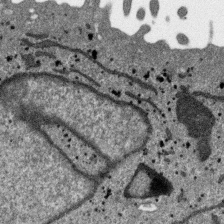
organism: Human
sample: Lung epithelial cells, uninfected (mock) control